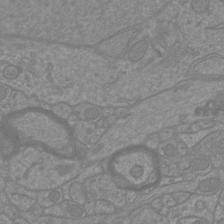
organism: Mouse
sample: Cortical neurons